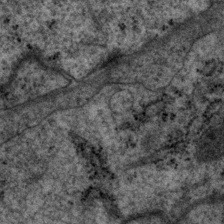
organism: P. pacificus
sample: Pharynx